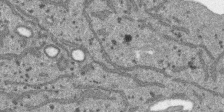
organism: Human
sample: Lung epithelial cells infected with SARS-CoV-2